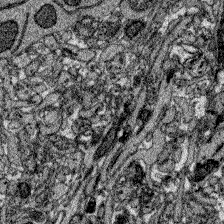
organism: Zebrafish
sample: Larval olfactory bulb